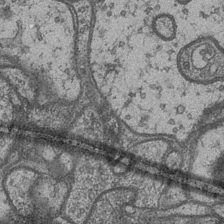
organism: Drosophila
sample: Optic medulla